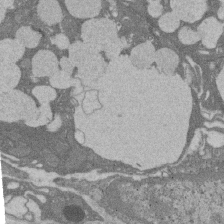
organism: Rat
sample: Salivary granule